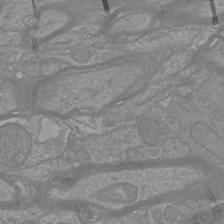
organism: Mouse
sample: Cortical neurons